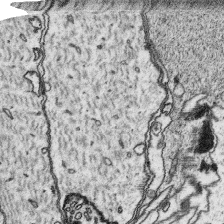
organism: Platynereis dumerilii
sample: Parapodia